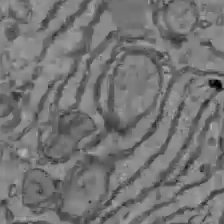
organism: C57BL Mouse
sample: Liver